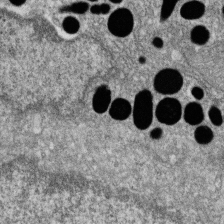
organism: Zebrafish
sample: Cilia; retinal pigment epithelium